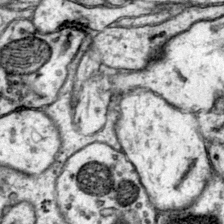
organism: Mouse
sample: Primary visual cortex